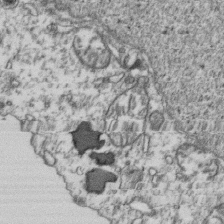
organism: Human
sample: Activated Jurkat CD4+ T cells